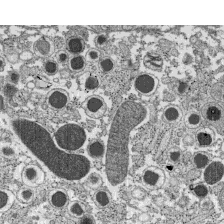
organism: C57BL Mouse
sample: Pancreatic islet